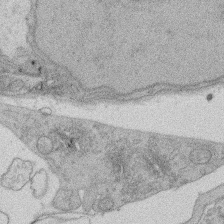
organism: Rat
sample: Salivary granule